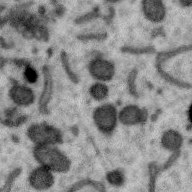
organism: Zebra finch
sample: Brain